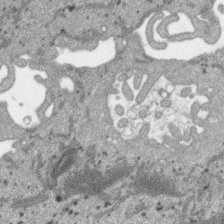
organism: Human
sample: Lung epithelial cells infected with SARS-CoV-2